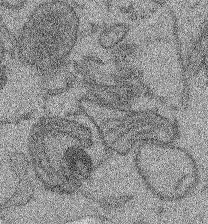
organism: Human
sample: HeLa cells